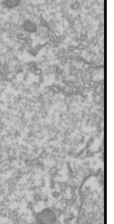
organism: Drosophila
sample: Cell division; meiosis; drosophila spermatocytes